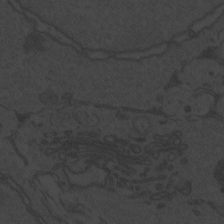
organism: Zebrafish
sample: Macrophage infected with Toxoplasma gondii